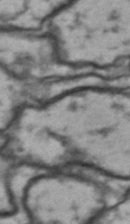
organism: Drosophila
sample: Brain